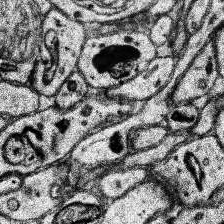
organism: Human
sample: Temporal Lobe